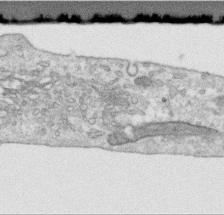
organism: Human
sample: Centriole in RPE cells